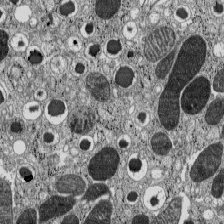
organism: C57BL Mouse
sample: Pancreatic islet